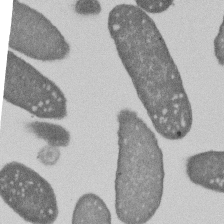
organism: E. coli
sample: Bacterial nucleoid